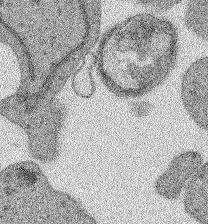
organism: Human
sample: HeLa cells